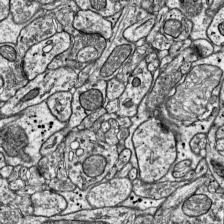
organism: Mouse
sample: Visual Cortex